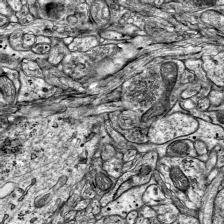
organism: Mouse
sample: Visual Cortex